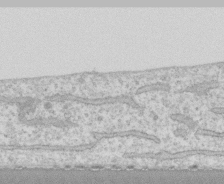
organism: Human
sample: CRL-1474